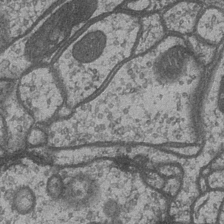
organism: Drosophila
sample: Optic medulla